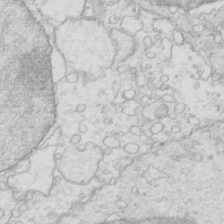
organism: Mouse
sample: Multiciliated cells